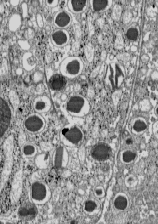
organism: C57BL Mouse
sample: Pancreatic islet